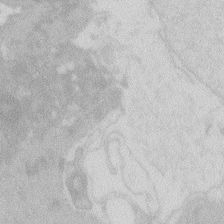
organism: Zebrafish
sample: Macrophage